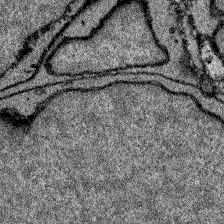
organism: Zebrafish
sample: Larval olfactory bulb